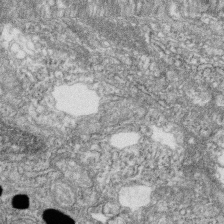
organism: Zebrafish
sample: Cilia; retinal pigment epithelium